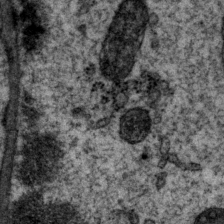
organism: P. pacificus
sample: Pharynx